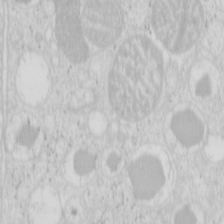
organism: Mouse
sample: Pancreas